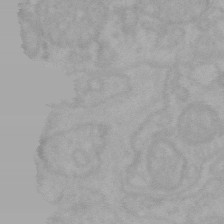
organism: Mouse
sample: Choroid plexus